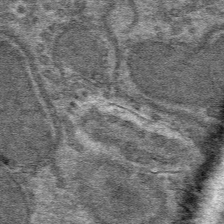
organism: Mouse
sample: Mouse hepatocytes